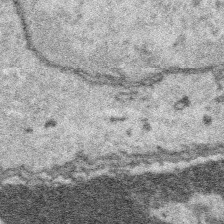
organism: Platynereis dumerilii